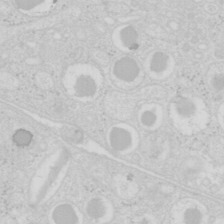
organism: Mouse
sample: Pancreas